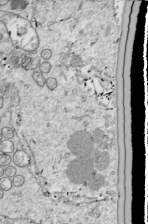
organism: Drosophila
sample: Cell division; meiosis; drosophila spermatocytes